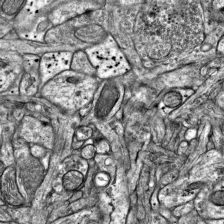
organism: Mouse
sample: Visual Cortex